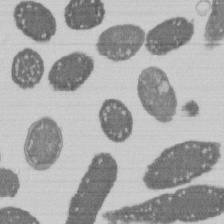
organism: E. coli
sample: Bacterial nucleoid